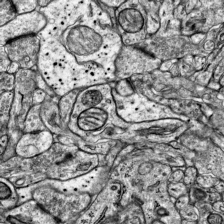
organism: Mouse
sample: Visual Cortex